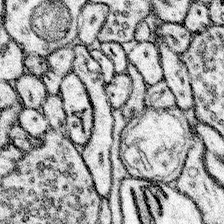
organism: Mouse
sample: Somatosensory cortex neuropil